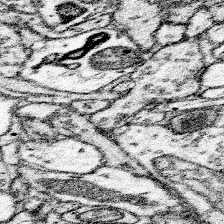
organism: Mouse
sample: Somatosensory cortex neuropil